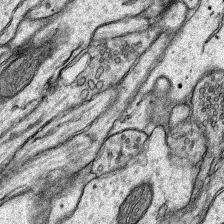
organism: Rat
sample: Hippocampus